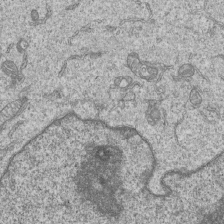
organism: Human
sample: MDA-MB-231 cells